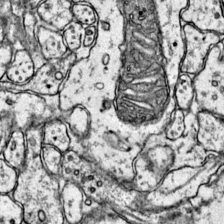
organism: Mouse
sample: Primary visual cortex